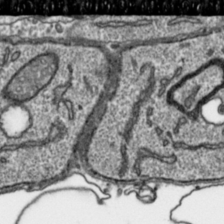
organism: Toxoplasma gondii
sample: Parasites in a vacuole inside a host cell